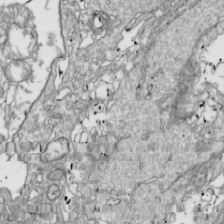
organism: Drosophila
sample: Cell division; meiosis; drosophila spermatocytes